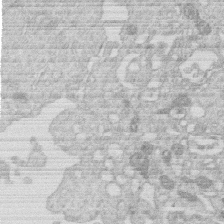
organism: Human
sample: Macrophage cells